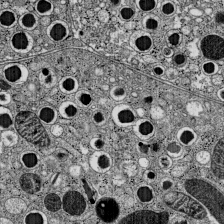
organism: C57BL Mouse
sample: Pancreatic islet